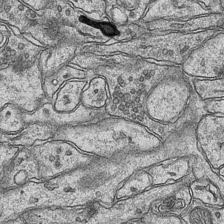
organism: Mouse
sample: CA1 Hippocampus